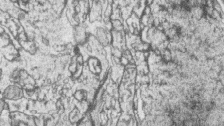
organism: Zebrafish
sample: synaptic ribbons in rod cells and cone cells